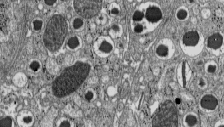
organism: C57BL Mouse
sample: Pancreatic islet